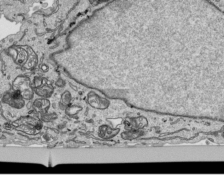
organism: Human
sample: Mitochondria in HCT116 cells